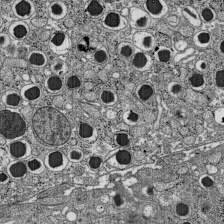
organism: C57BL Mouse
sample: Pancreatic islet